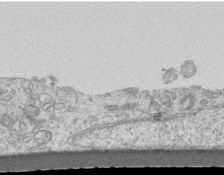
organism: Mouse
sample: Centriole in ependymal cells